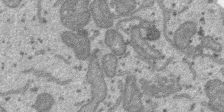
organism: Human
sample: Lung epithelial cells infected with SARS-CoV-2